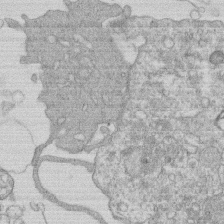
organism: Human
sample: Macrophage cells